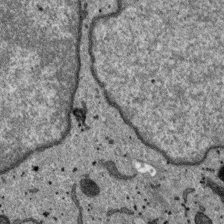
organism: Human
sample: Lung epithelial cells, uninfected (mock) control